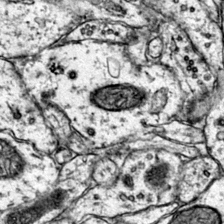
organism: Mouse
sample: Primary visual cortex